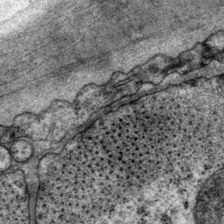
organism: P. pacificus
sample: Pharynx